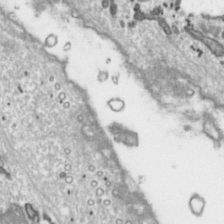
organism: Toxoplasma gondii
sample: Parasites in a vacuole inside a host cell